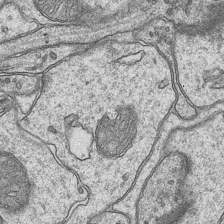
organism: Mouse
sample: CA1 Hippocampus